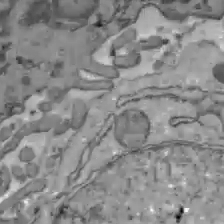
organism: C57BL Mouse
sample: Liver